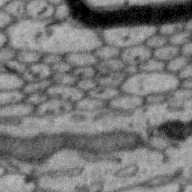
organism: Zebra finch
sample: Brain